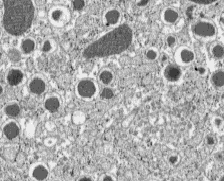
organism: C57BL Mouse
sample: Pancreatic islet